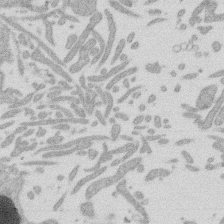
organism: Mouse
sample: Dividing mouse embryo 1 cell stage